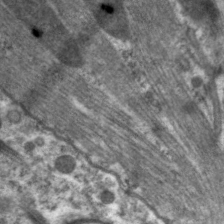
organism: C. elegans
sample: Pharynx